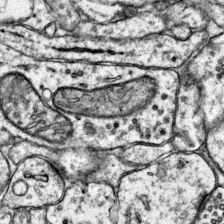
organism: Mouse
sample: Primary visual cortex